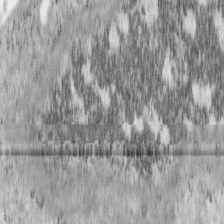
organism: Human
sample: HeLa cells